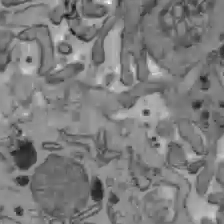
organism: C57BL Mouse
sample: Liver